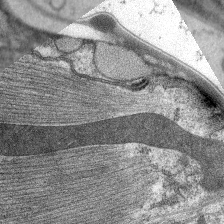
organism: C. elegans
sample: Pharynx